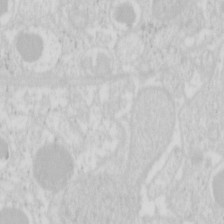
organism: Mouse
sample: Pancreas